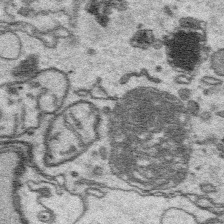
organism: Platynereis dumerilii